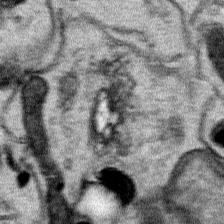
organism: Human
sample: Mitochondria in HCT116 cells